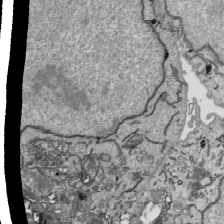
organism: Human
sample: Mitochondria in HCT116 cells